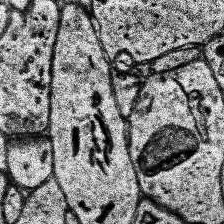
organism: Human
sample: Temporal Lobe